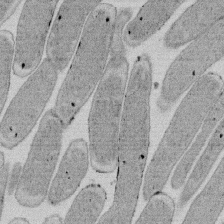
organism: E. coli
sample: Bacterial nucleoid